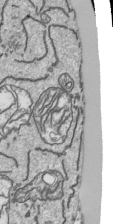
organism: Human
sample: Mitochondria in HCT116 cells